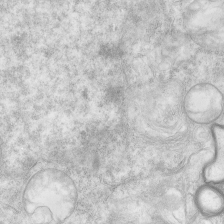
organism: Human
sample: Neocortex